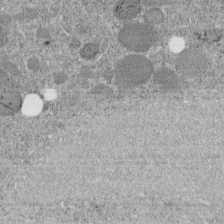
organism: C. elegans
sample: C. elegans embryo early stage